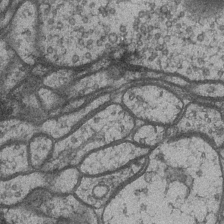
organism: Drosophila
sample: Optic medulla